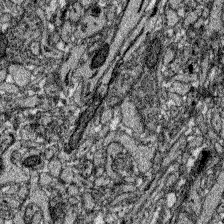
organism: Zebrafish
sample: Larval olfactory bulb